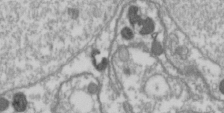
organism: Drosophila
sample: Cell division; meiosis; drosophila spermatocytes